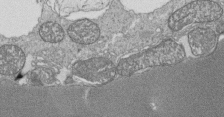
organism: Tetrahymena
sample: Cilia in tetrahymena